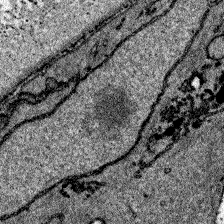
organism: Zebrafish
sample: Larval olfactory bulb